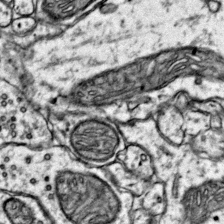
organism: Mouse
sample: Primary visual cortex